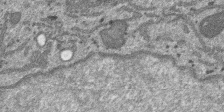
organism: Human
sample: Lung epithelial cells infected with SARS-CoV-2